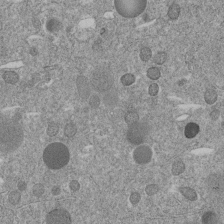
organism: C. elegans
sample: C. elegans embryo early stage